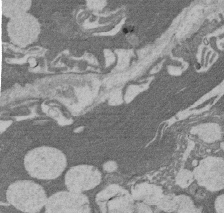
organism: Rat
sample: Salivary granule